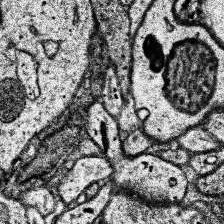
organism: Human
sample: Temporal Lobe